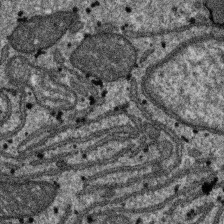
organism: Human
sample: Lung epithelial cells infected with SARS-CoV-2